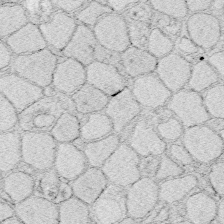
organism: Zebrafish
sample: Whole-Brain